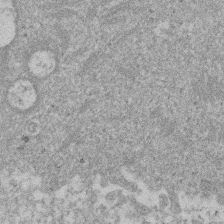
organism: Mouse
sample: Dividing mouse embryo 1 cell stage